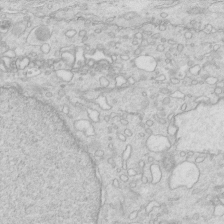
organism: Mouse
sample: Multiciliated cells